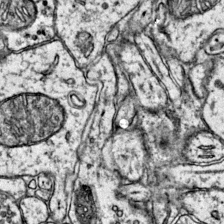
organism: Mouse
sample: Primary visual cortex